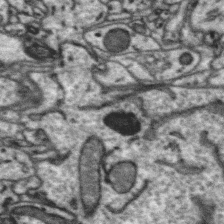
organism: Zebra finch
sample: Brain